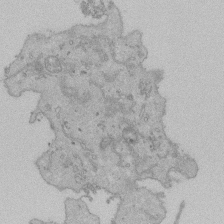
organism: Human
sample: Activated Jurkat CD4+ T cells